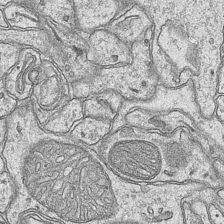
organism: Mouse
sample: CA1 Hippocampus